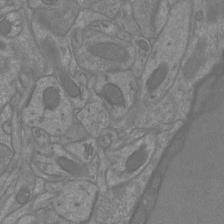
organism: Mouse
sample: Cortical neurons